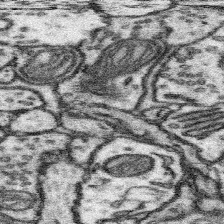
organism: Mouse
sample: Somatosensory cortex neuropil